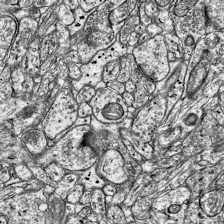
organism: Mouse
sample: Visual Cortex